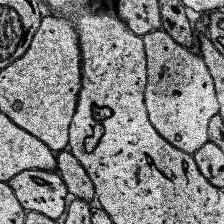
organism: Human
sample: Temporal Lobe